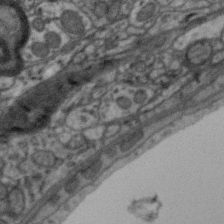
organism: Zebra finch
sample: Brain